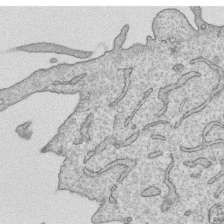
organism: Human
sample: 1205lu cells